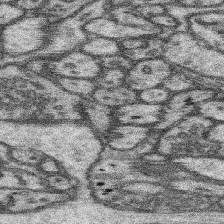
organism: Mouse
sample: Somatosensory cortex neuropil